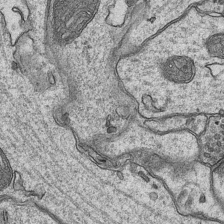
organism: Mouse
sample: CA1 Hippocampus